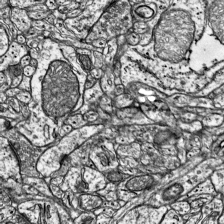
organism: Mouse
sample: Visual Cortex